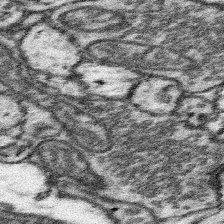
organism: Mouse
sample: Somatosensory cortex neuropil